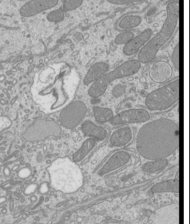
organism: Mouse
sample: Cilia; mouse epididymis